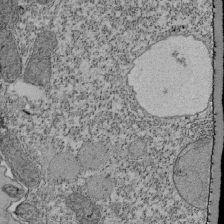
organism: Tetrahymena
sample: Cilia in tetrahymena